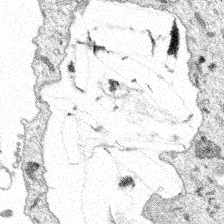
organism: Spongilla lacustris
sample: Multiple